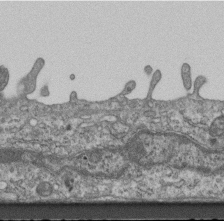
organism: Mouse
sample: Centriole in ependymal cells